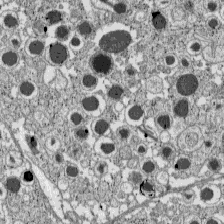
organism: C57BL Mouse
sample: Pancreatic islet